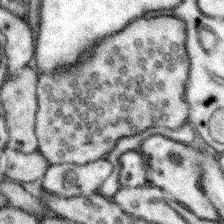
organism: Mouse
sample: Somatosensory cortex neuropil